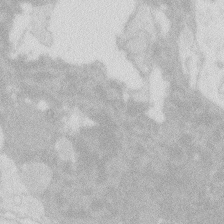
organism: Zebrafish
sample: Macrophage